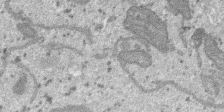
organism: Human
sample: Lung epithelial cells infected with SARS-CoV-2